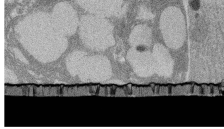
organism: Rat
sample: Salivary granule